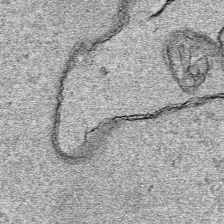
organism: Human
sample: Mitochondria in HCT116 cells